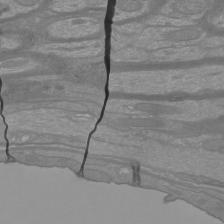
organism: Mouse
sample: Cortical neurons